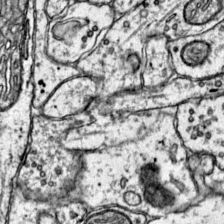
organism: Mouse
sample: Primary visual cortex